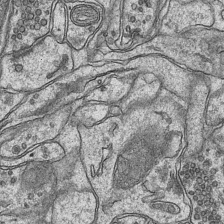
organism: Mouse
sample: CA1 Hippocampus